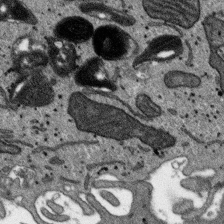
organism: Human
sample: Lung epithelial cells, uninfected (mock) control